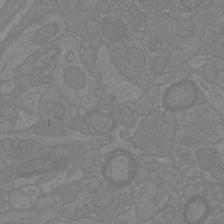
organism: Mouse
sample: Cortical neurons